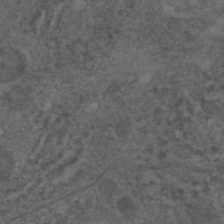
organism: C. elegans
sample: C. elegans embryo